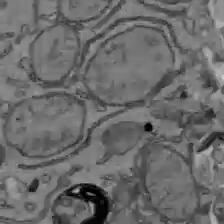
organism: C57BL Mouse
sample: Liver